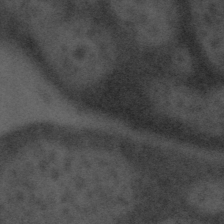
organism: Tuwongella immobilis